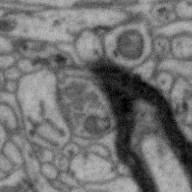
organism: Zebra finch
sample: Brain